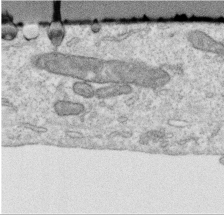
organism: Human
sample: Centriole in RPE cells